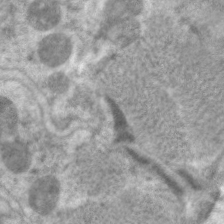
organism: C. elegans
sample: Pharynx